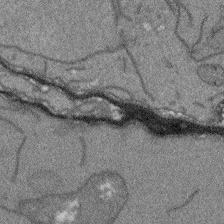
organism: Arabidopsis thaliana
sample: Root tip